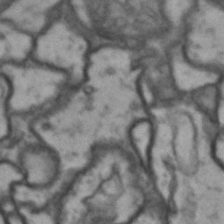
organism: Drosophila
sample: Brain